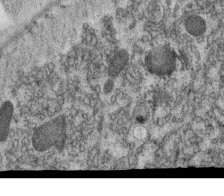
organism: C. elegans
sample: C. elegans oocyte; sperm cells